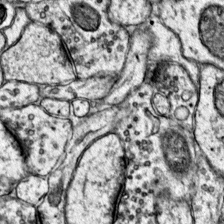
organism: Mouse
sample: Primary visual cortex